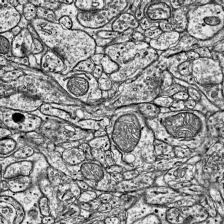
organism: Mouse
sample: Visual Cortex